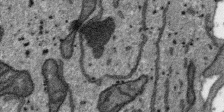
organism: Human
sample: Lung epithelial cells, uninfected (mock) control